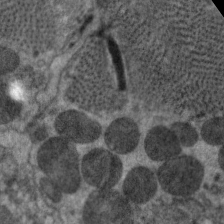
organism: C. elegans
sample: Pharynx